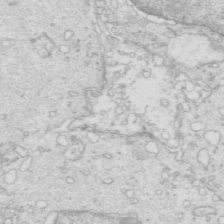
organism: Mouse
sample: Multiciliated cells